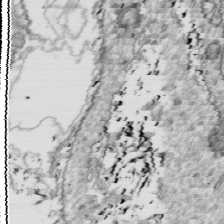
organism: Drosophila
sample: Cell division; meiosis; drosophila spermatocytes